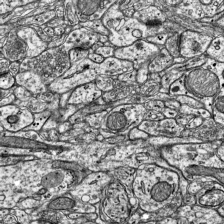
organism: Mouse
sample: Visual Cortex